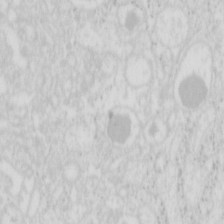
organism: Mouse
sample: Pancreas